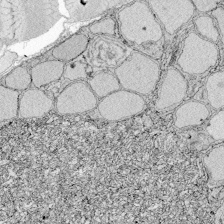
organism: Zebrafish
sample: Whole-Brain